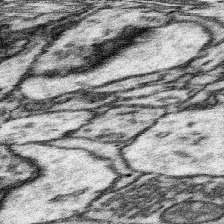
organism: Mouse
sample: Somatosensory cortex neuropil